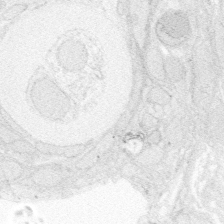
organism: Zebrafish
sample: Whole-Brain